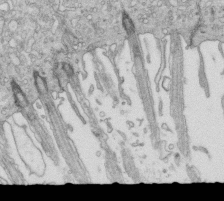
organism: Mouse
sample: Multiciliated cells